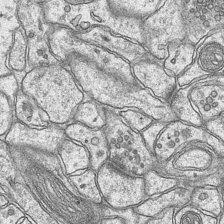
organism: Mouse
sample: CA1 Hippocampus